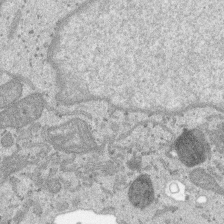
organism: Human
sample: Lung epithelial cells infected with SARS-CoV-2